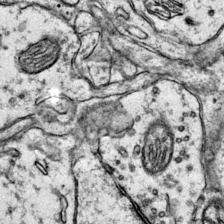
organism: Mouse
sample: Primary visual cortex